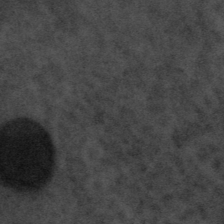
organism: Tuwongella immobilis